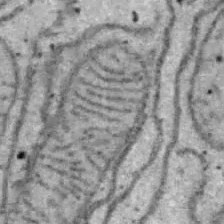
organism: Mouse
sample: Liver from an obese (ob/ob) mouse